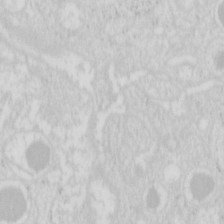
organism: Mouse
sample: Pancreas